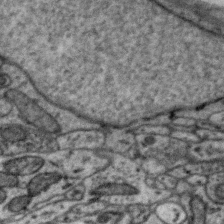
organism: Zebra finch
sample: Brain